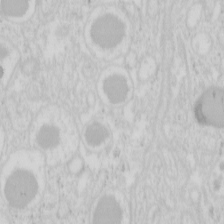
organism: Mouse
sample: Pancreas